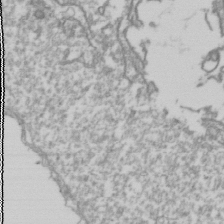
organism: Drosophila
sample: Cell division; meiosis; drosophila spermatocytes